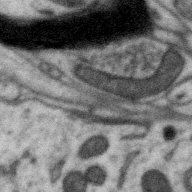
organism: Zebra finch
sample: Brain